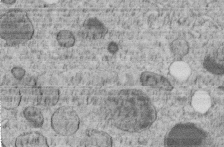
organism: C. elegans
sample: C. elegans embryo early stage